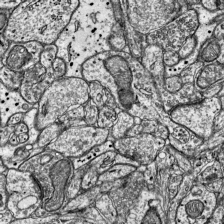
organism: Mouse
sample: Visual Cortex